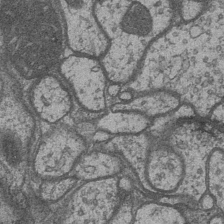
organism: Drosophila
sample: Optic medulla